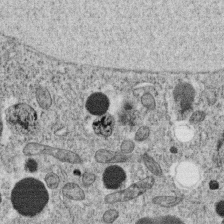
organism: C. elegans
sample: C. elegans oocyte; sperm cells